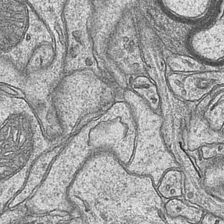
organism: Mouse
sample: CA1 Hippocampus